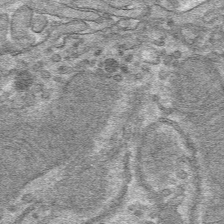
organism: Mouse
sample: Mouse hepatocytes